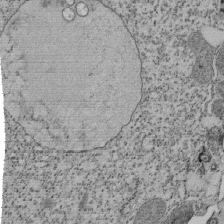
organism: Tetrahymena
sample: Cilia in tetrahymena